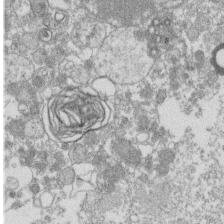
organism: Human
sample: HeLa cell HIV synapse